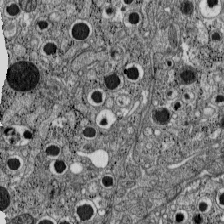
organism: C57BL Mouse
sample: Pancreatic islet